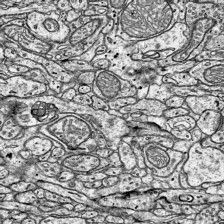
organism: Mouse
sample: Visual Cortex